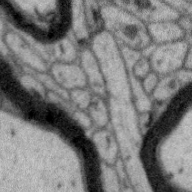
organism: Zebra finch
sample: Brain